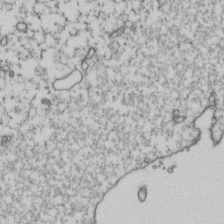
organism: Human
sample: Activated Jurkat CD4+ T cells